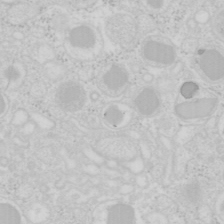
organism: Mouse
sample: Pancreas